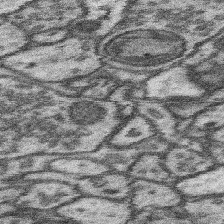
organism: Mouse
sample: Somatosensory cortex neuropil